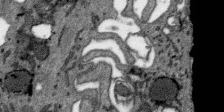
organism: Human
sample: Lung epithelial cells, uninfected (mock) control